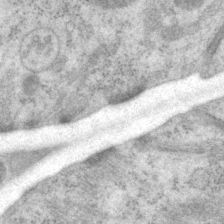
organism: P. pacificus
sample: Pharynx